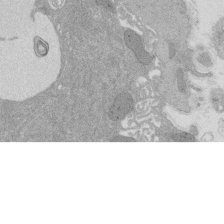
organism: Rat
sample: Salivary granule